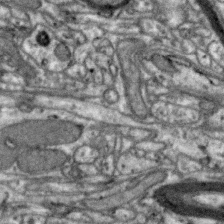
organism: Zebra finch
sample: Brain